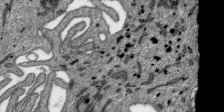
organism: Human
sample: Lung epithelial cells, uninfected (mock) control